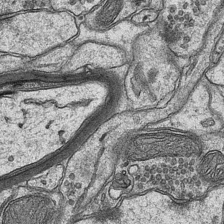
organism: Mouse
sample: CA1 Hippocampus